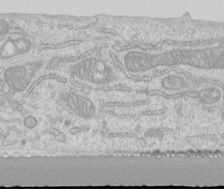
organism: Human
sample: Centriole in RPE cells